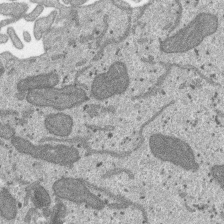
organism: Human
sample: Lung epithelial cells infected with SARS-CoV-2